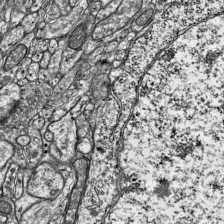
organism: Mouse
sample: Visual Cortex